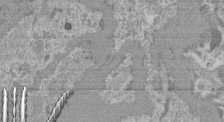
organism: Mouse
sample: Glomerulus